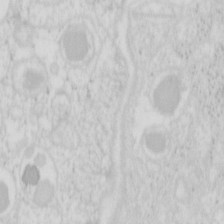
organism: Mouse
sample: Pancreas